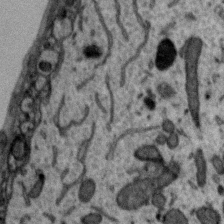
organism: Zebra finch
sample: Brain